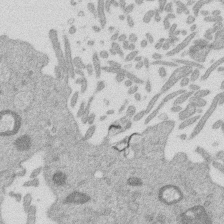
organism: Mouse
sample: Dividing mouse embryo 1 cell stage